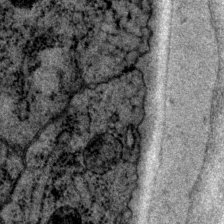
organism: P. pacificus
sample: Pharynx